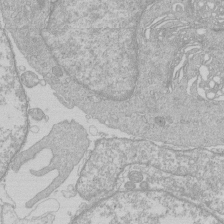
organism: Human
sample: Macrophage cells